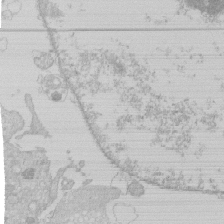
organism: Human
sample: Macrophage cells